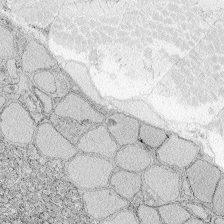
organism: Zebrafish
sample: Whole-Brain